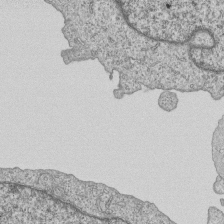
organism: Human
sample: MDA-MB-231 cells